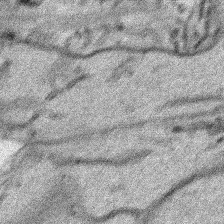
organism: Human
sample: Mitochondria in HCT116 cells